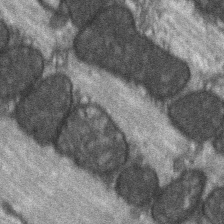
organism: C57BL Mouse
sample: Soleus